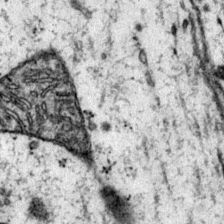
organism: Mouse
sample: Primary visual cortex